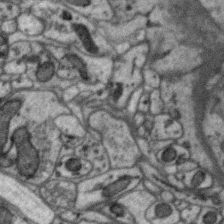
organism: Zebra finch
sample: Brain